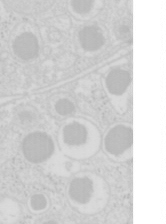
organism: Mouse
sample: Pancreas